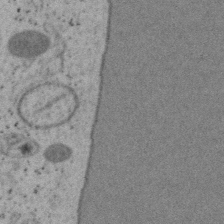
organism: Human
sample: HeLa cells